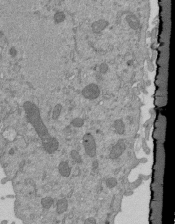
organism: Mouse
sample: ED-1 cell nuclei; centrioles